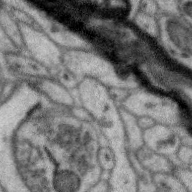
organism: Zebra finch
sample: Brain